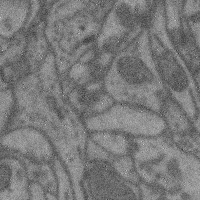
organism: Mouse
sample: Cerebral cortex